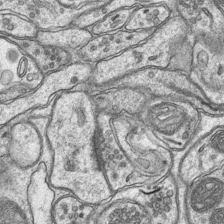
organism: Mouse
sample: CA1 Hippocampus